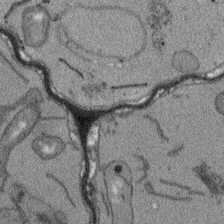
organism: Arabidopsis thaliana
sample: Root tip